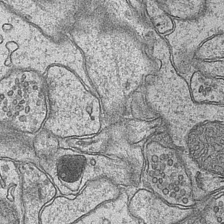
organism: Mouse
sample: CA1 Hippocampus